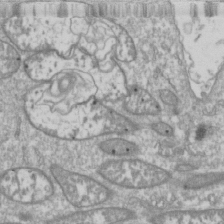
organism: Drosophila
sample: Cell division; meiosis; drosophila spermatocytes